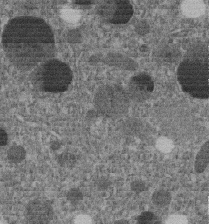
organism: C. elegans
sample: C. elegans embryo early stage